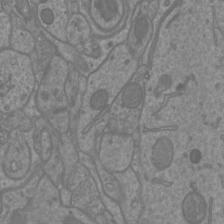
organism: Mouse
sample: Cortical neurons